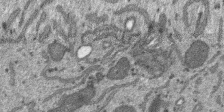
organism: Human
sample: Lung epithelial cells infected with SARS-CoV-2